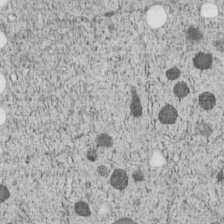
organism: C. elegans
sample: C. elegans embryo early stage